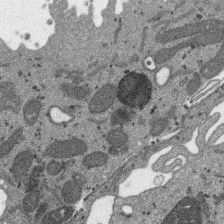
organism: Human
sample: Lung epithelial cells infected with SARS-CoV-2